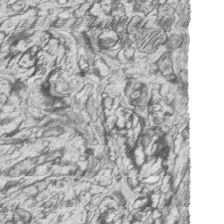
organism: Zebrafish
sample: synaptic ribbons in rod cells and cone cells